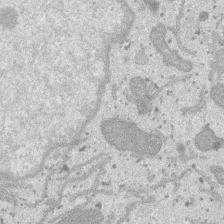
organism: Human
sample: Lung epithelial cells infected with SARS-CoV-2